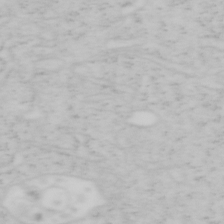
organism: Mouse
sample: OT-I killer T cells with ID8 ovarian cancer cells